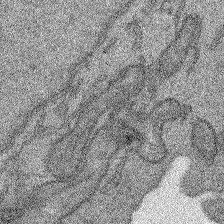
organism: Human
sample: HeLa cells